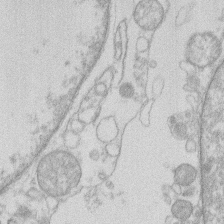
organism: Human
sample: Macrophage cells